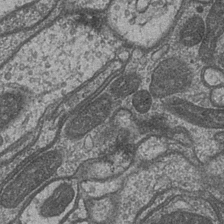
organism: Drosophila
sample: Optic medulla